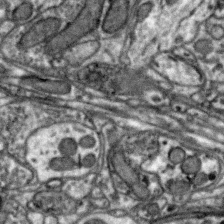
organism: Zebra finch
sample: Brain